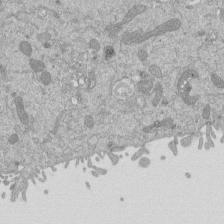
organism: Mouse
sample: ED-1 cell nuclei; centrioles